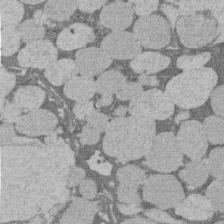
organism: Rat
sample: Salivary granule